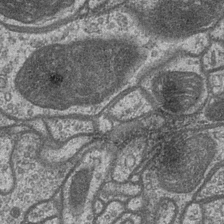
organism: Drosophila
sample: Optic medulla